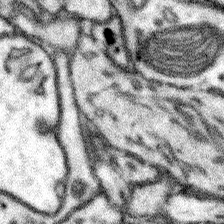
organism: Mouse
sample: Somatosensory cortex neuropil